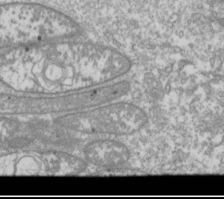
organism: Drosophila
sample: Cell division; meiosis; drosophila spermatocytes